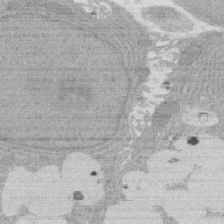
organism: Rat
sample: Salivary granule